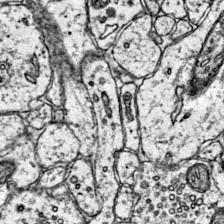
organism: Mouse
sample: Primary visual cortex